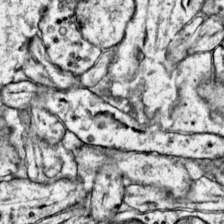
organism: Mouse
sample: Primary visual cortex